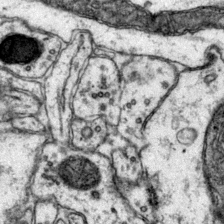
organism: Mouse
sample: Primary visual cortex